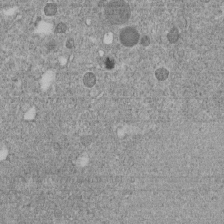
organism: C. elegans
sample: C. elegans embryo early stage